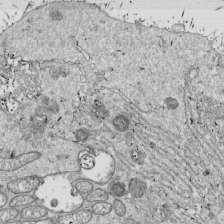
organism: Drosophila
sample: Cell division; meiosis; drosophila spermatocytes